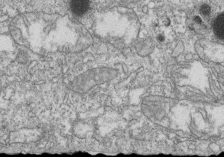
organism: Human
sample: HeLa cell HIV synapse